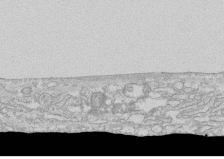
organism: Human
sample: CRL-1474